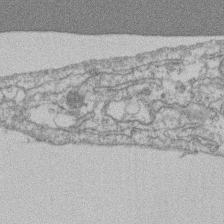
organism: Mouse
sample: T cell stromal cell synapse